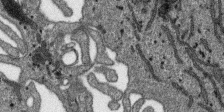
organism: Human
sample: Lung epithelial cells infected with SARS-CoV-2